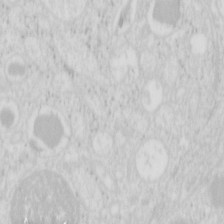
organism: Mouse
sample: Pancreas